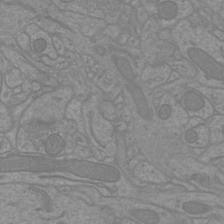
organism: Mouse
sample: Cortical neurons